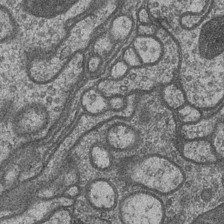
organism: Drosophila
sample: Optic medulla